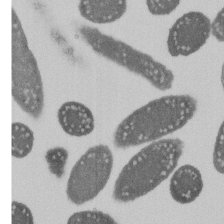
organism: E. coli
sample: Bacterial nucleoid